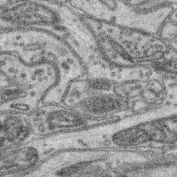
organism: Mouse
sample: Retina